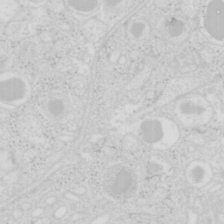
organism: Mouse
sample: Pancreas